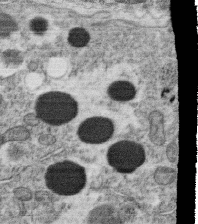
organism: C. elegans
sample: C. elegans oocyte; sperm cells